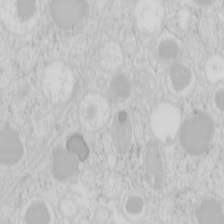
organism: Mouse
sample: Pancreas